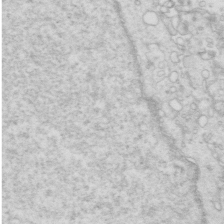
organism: Mouse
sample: Multiciliated cells